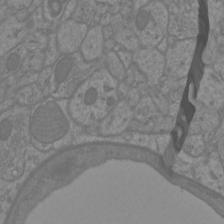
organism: Mouse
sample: Cortical neurons